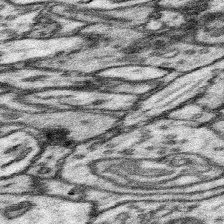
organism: Mouse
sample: Somatosensory cortex neuropil